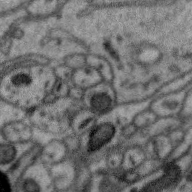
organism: Zebra finch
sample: Brain